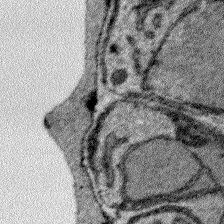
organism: Plasmodium falciparum